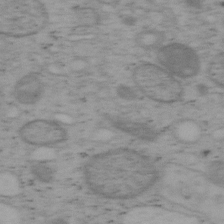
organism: Mouse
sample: OT-I killer T cells with ID8 ovarian cancer cells